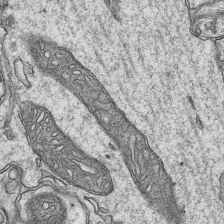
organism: Mouse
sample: CA1 Hippocampus